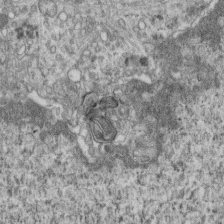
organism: Mouse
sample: Centriole in ependymal cells